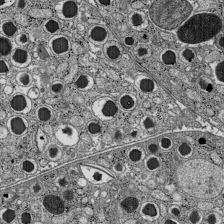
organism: C57BL Mouse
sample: Pancreatic islet